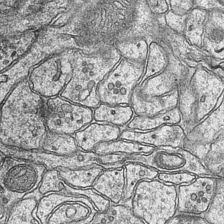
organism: Mouse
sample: CA1 Hippocampus